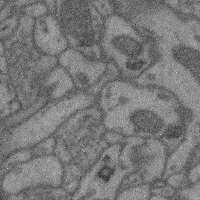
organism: Mouse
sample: Cerebral cortex